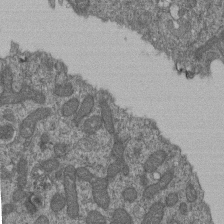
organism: Human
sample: Retinal organoid Rod and Cone cells